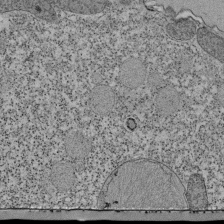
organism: Tetrahymena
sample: Cilia in tetrahymena